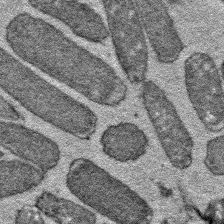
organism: E. coli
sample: E. Coli Bacteria